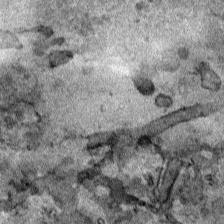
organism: Human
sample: Mitochondria in HCT116 cells